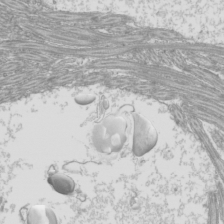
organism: Mouse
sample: Cilia; mouse epididymis